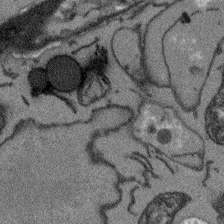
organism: Arabidopsis thaliana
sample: Root tip